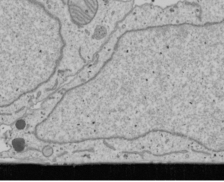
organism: Human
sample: Mitochondria in U2OS cells